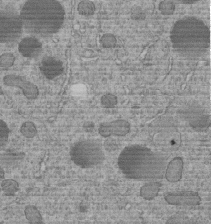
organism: C. elegans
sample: C. elegans embryo early stage